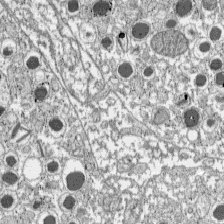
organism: C57BL Mouse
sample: Pancreatic islet